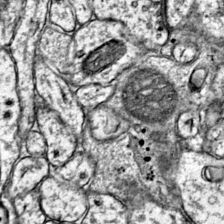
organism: Mouse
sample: Primary visual cortex